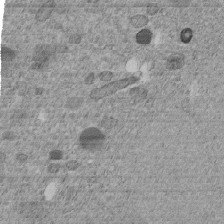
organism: C. elegans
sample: C. elegans embryo early stage